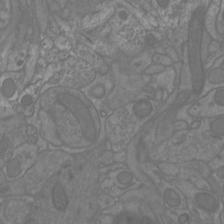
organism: Mouse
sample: Cortical neurons